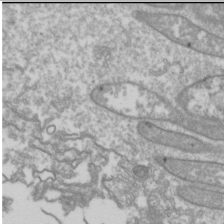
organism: Drosophila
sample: Cell division; meiosis; drosophila spermatocytes